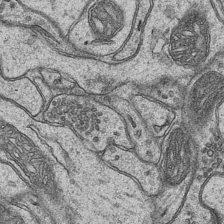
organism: Mouse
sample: CA1 Hippocampus